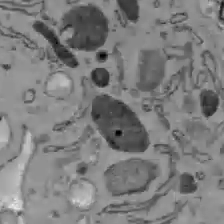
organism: C57BL Mouse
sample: Liver